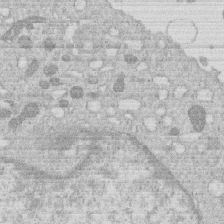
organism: Human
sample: Macrophage cells